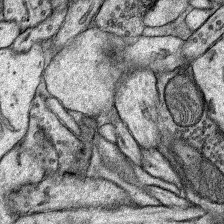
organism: Rat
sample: Hippocampus